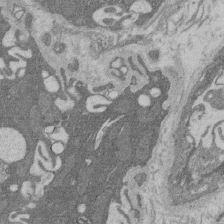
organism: Rat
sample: Salivary granule